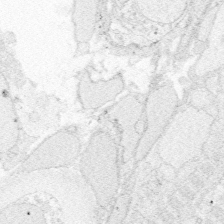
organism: Zebrafish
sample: Whole-Brain